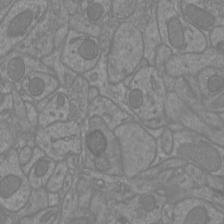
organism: Mouse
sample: Cortical neurons